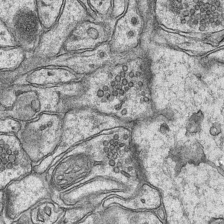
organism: Mouse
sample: CA1 Hippocampus